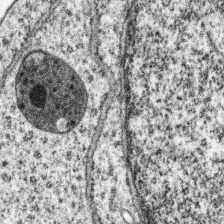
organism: Human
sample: HeLa cells